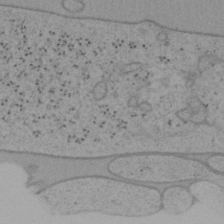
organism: Human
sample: HeLa cells